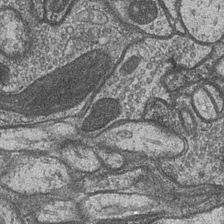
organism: Drosophila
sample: Optic medulla